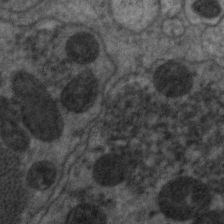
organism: C. elegans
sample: Pharynx